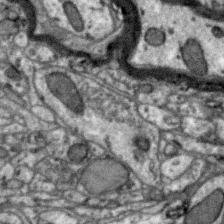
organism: Zebra finch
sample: Brain